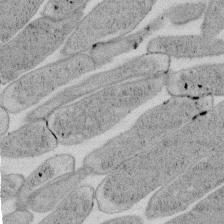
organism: E. coli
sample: Bacterial nucleoid